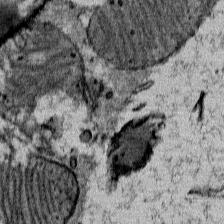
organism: Mouse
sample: Mouse Salivary gland